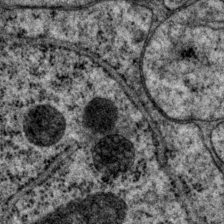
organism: P. pacificus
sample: Pharynx